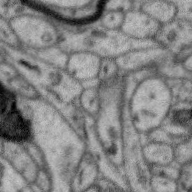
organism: Zebra finch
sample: Brain